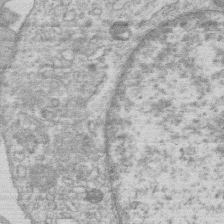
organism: Human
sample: Macrophage cells